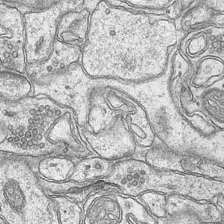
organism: Mouse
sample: CA1 Hippocampus